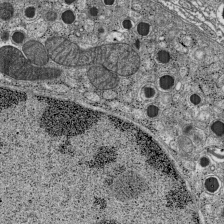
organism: C57BL Mouse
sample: Pancreatic islet